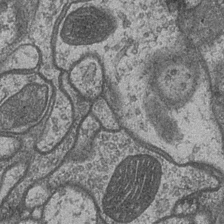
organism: Drosophila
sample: Optic medulla